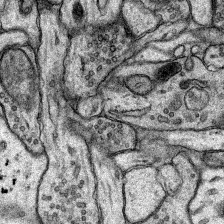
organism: Rat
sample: Hippocampus